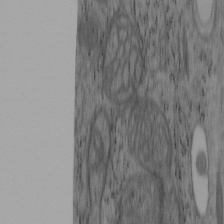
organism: Human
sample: HeLa cells